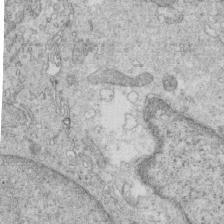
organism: Mouse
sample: Multiciliated cells